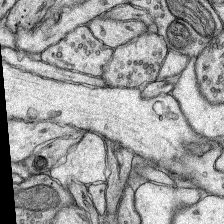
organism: Rat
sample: Hippocampus